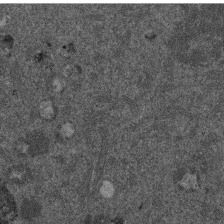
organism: Mouse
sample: Dividing mouse embryo 1 cell stage